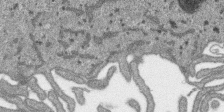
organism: Human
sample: Lung epithelial cells infected with SARS-CoV-2